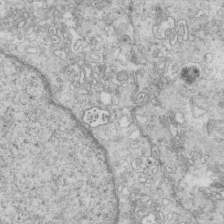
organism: Mouse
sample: Multiciliated cells